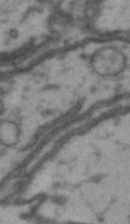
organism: Drosophila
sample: Brain